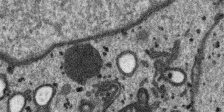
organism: Human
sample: Lung epithelial cells infected with SARS-CoV-2